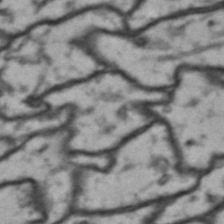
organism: Drosophila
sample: Brain